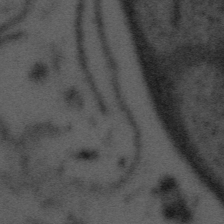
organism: Tuwongella immobilis